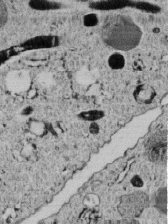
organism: C. elegans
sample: C. elegans embryo early stage